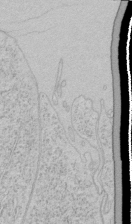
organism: Human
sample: Mitochondria in HCT116 cells